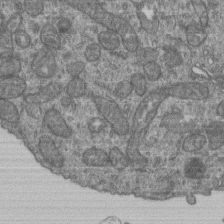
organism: Human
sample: Retinal organoid Rod and Cone cells